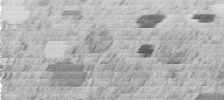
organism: C. elegans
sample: C. elegans embryo early stage